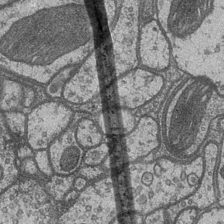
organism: Drosophila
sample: Optic medulla